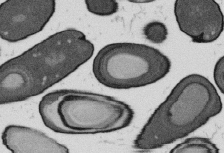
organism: B. subtilis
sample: Bacterial spore